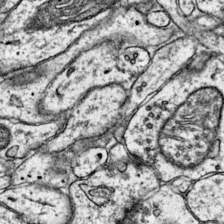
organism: Mouse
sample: Primary visual cortex